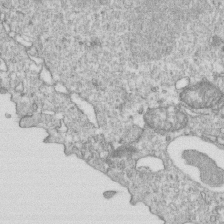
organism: Mouse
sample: Activated OT-1 CD8+ T cells